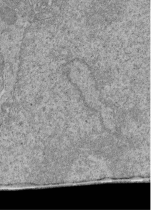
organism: Human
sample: Retinal organoid Rod and Cone cells